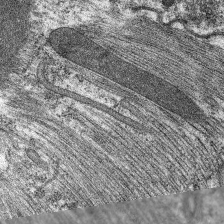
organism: C. elegans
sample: Pharynx